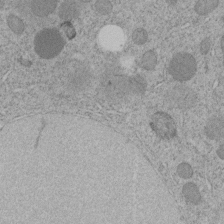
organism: C. elegans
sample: C. elegans embryo early stage